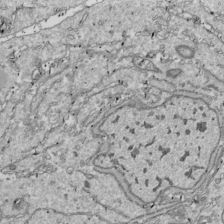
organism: Drosophila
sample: Cell division; meiosis; drosophila spermatocytes